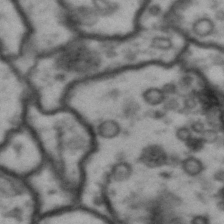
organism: Drosophila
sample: Brain